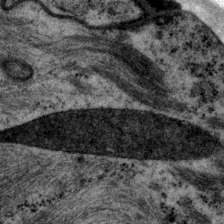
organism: P. pacificus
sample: Pharynx